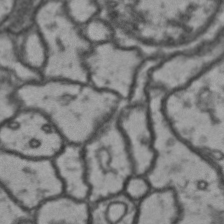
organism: Drosophila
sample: Brain